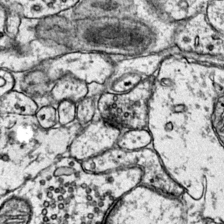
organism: Mouse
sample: Primary visual cortex